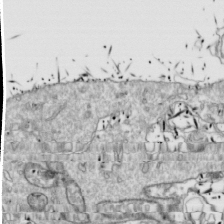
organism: Drosophila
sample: Cell division; meiosis; drosophila spermatocytes